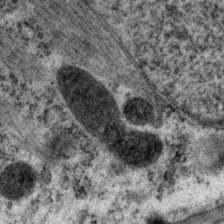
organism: P. pacificus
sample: Pharynx